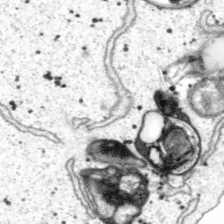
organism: Human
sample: HeLa cells